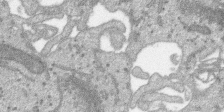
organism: Human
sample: Lung epithelial cells infected with SARS-CoV-2